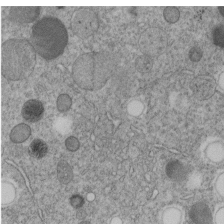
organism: C. elegans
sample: C. elegans embryo early stage